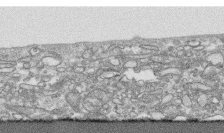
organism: Human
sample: CRL-1474